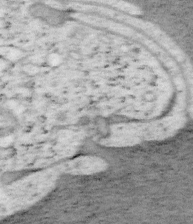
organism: Mouse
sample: OT-I killer T cells with ID8 ovarian cancer cells